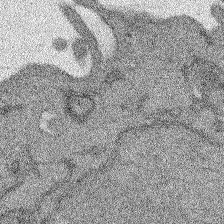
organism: Human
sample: HeLa cells